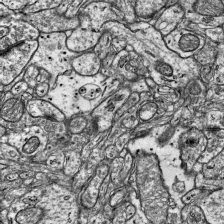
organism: Mouse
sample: Visual Cortex